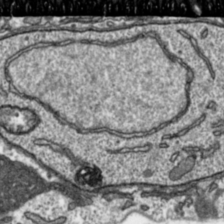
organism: Toxoplasma gondii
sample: Parasites in a vacuole inside a host cell